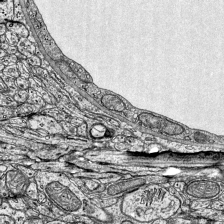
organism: Mouse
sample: Visual Cortex